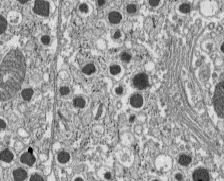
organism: C57BL Mouse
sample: Pancreatic islet